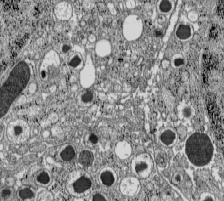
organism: C57BL Mouse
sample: Pancreatic islet